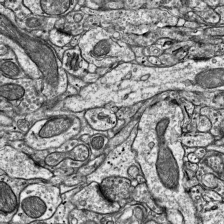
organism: Mouse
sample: Visual Cortex